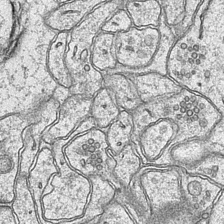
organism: Mouse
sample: CA1 Hippocampus